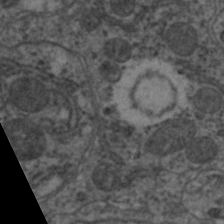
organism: C. elegans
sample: Pharynx